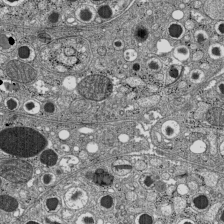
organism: C57BL Mouse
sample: Pancreatic islet